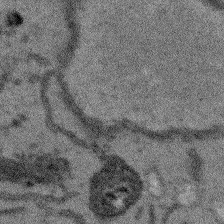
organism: Arabidopsis thaliana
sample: Root tip